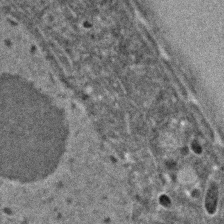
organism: C. elegans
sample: C. elegans embryo